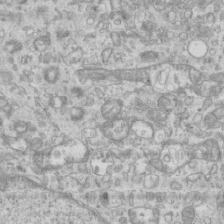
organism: Mouse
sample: Centriole in ependymal cells